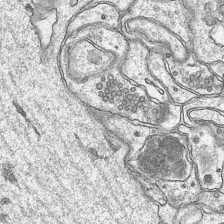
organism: Mouse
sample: CA1 Hippocampus